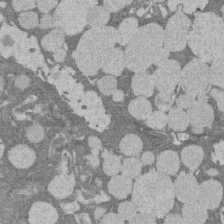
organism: Rat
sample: Salivary granule